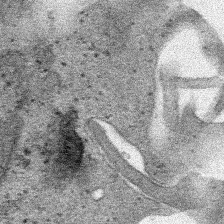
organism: Human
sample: Mitochondria in HCT116 cells